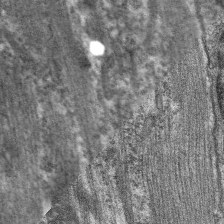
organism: C. elegans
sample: Pharynx